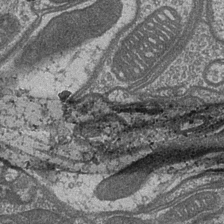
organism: Drosophila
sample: Optic medulla